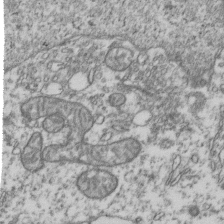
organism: Human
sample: Activated Jurkat CD4+ T cells